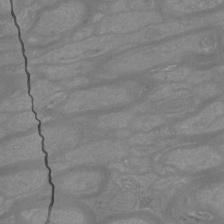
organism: Mouse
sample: Cortical neurons